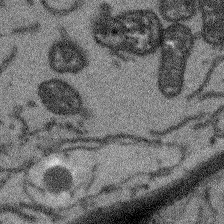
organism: Arabidopsis thaliana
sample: Root tip